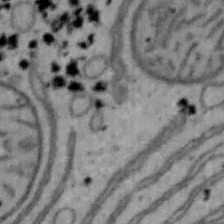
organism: Mouse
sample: Liver